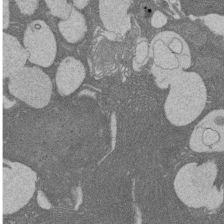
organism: Rat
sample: Salivary granule